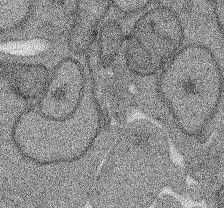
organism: Human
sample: HeLa cells